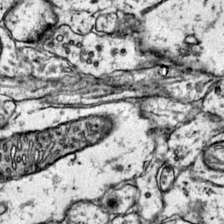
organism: Mouse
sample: Primary visual cortex